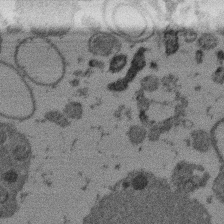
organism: Mouse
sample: Dividing mouse embryo 1 cell stage